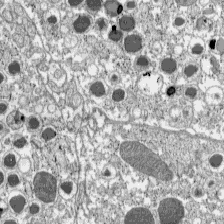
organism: C57BL Mouse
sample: Pancreatic islet